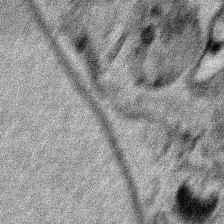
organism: Human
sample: Mitochondria in HCT116 cells